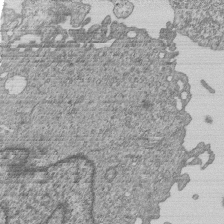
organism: Human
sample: MDA-MB-231 cells